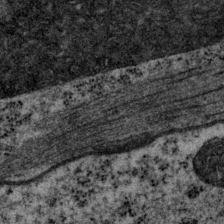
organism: P. pacificus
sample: Pharynx